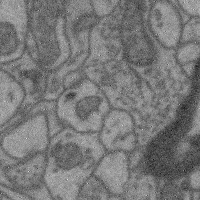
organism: Mouse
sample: Cerebral cortex